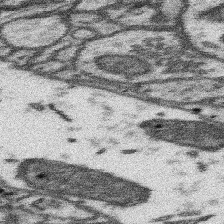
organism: Mouse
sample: Somatosensory cortex neuropil